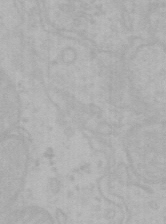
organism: Mouse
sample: Choroid plexus